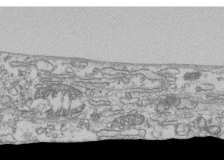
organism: Human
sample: Fibroblast cells